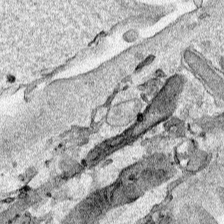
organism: Human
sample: Mitochondria in HCT116 cells